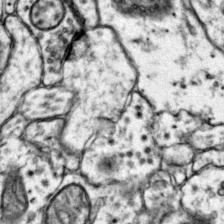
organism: Mouse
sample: Primary visual cortex